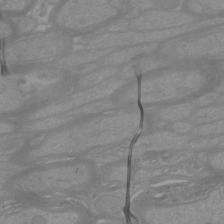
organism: Mouse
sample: Cortical neurons